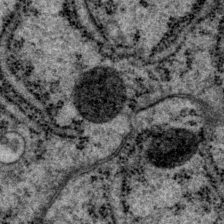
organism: P. pacificus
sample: Pharynx